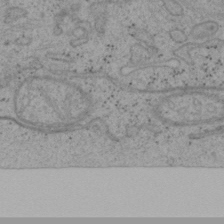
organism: Human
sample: HeLa cells